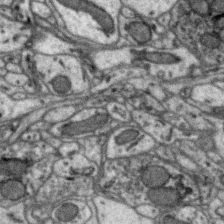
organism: Zebra finch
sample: Brain